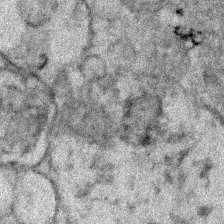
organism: Human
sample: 1205lu cells